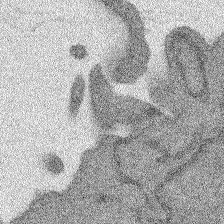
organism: Human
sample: HeLa cells